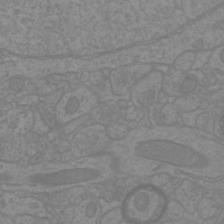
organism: Mouse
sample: Cortical neurons